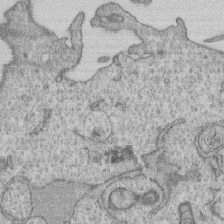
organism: Human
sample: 1205lu cells